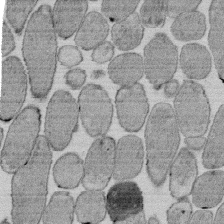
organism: E. coli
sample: Bacterial nucleoid